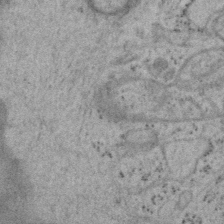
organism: Human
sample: HeLa cells